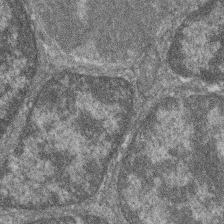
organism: Zebrafish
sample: Cilia; retinal pigment epithelium